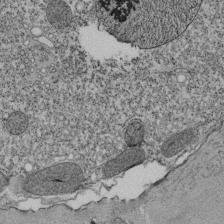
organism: Tetrahymena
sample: Cilia in tetrahymena